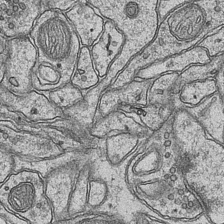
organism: Mouse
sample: CA1 Hippocampus